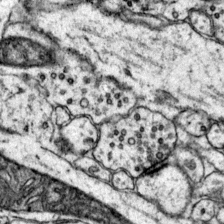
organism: Mouse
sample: Primary visual cortex